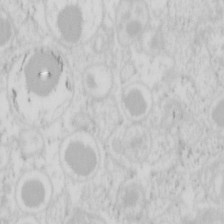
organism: Mouse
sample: Pancreas